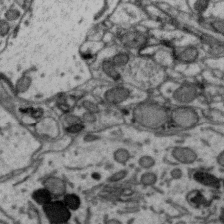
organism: Zebra finch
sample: Brain